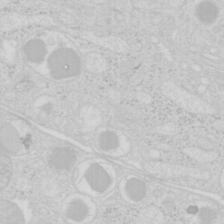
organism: Mouse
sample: Pancreas